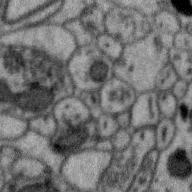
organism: Zebra finch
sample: Brain